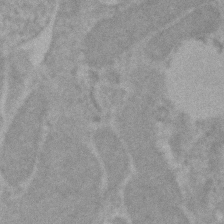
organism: Human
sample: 1205lu cells